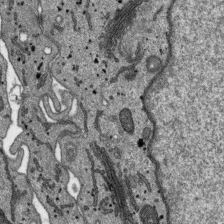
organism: Human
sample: Lung epithelial cells, uninfected (mock) control